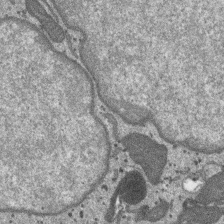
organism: Human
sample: Lung epithelial cells infected with SARS-CoV-2